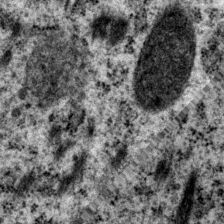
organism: P. pacificus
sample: Pharynx